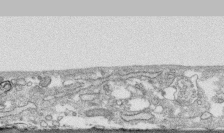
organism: Human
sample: CRL-1474